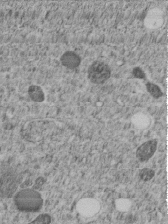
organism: C. elegans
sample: C. elegans embryo early stage